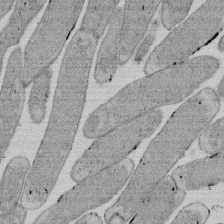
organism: E. coli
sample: Bacterial nucleoid